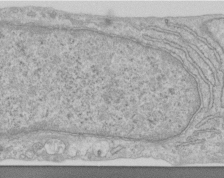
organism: Human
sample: Centriole in RPE cells